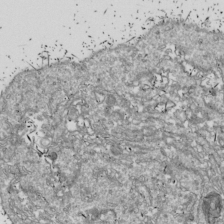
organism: Drosophila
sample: Cell division; meiosis; drosophila spermatocytes